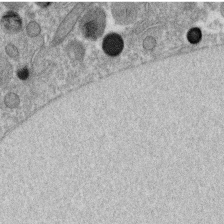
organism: C. elegans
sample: C. elegans oocyte; sperm cells